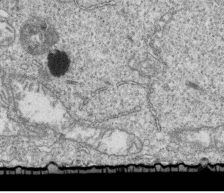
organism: Human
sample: HeLa cell HIV synapse